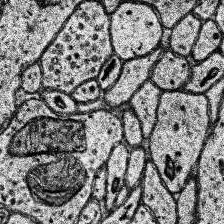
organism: Human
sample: Temporal Lobe